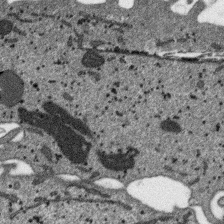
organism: Human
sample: Lung epithelial cells infected with SARS-CoV-2